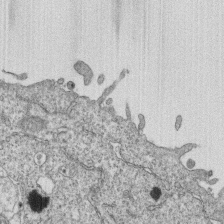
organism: Human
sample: HeLa cell HIV synapse